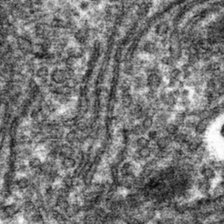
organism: Mouse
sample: Mouse hepatocytes